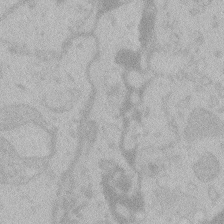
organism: Zebrafish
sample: Macrophage infected with Toxoplasma gondii